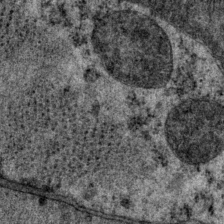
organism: P. pacificus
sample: Pharynx